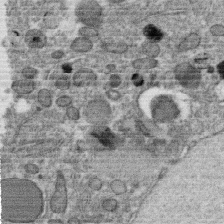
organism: C. elegans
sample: C. elegans oocyte; sperm cells